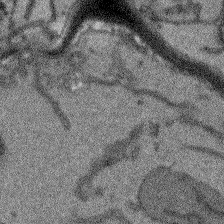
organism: Arabidopsis thaliana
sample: Root tip